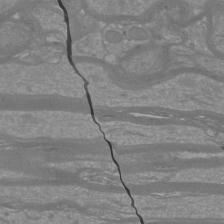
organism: Mouse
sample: Cortical neurons